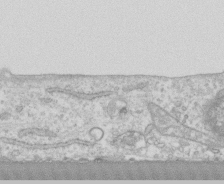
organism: Human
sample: CRL-1474